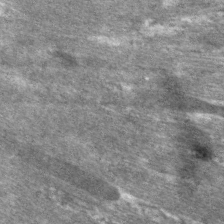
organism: C. elegans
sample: Pharynx